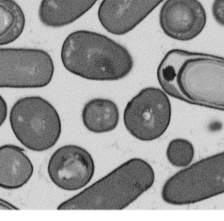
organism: B. subtilis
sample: Bacterial spore